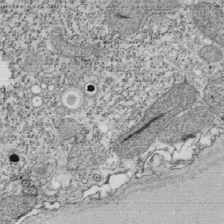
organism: Tetrahymena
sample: Cilia in tetrahymena